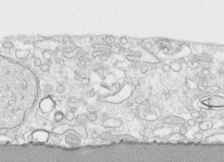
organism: Human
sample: CRL-1474